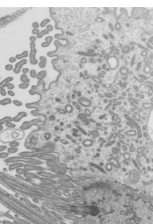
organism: Mouse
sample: Mouse epididymis efferent ductule cilia